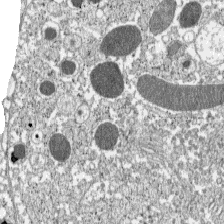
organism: C57BL Mouse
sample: Pancreatic islet